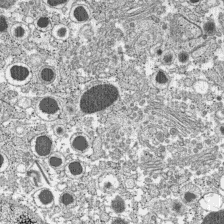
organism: C57BL Mouse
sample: Pancreatic islet